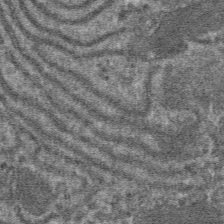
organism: Mouse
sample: Mouse hepatocytes